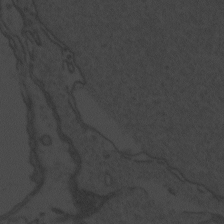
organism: Zebrafish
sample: Macrophage infected with Toxoplasma gondii